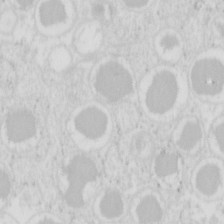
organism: Mouse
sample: Pancreas